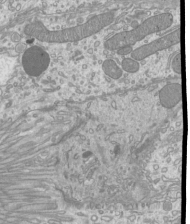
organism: Mouse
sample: Cilia; mouse epididymis